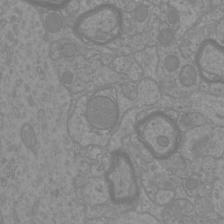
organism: Mouse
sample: Cortical neurons